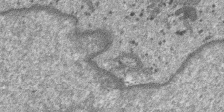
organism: Human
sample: Lung epithelial cells infected with SARS-CoV-2